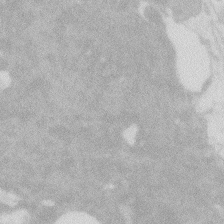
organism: Zebrafish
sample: Macrophage